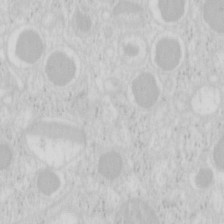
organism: Mouse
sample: Pancreas